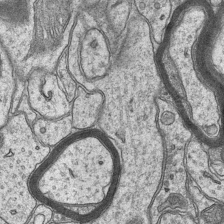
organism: Mouse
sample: CA1 Hippocampus